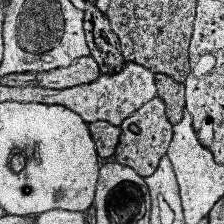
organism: Human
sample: Temporal Lobe